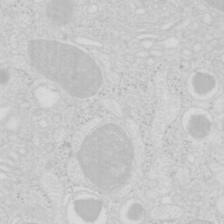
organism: Mouse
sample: Pancreas